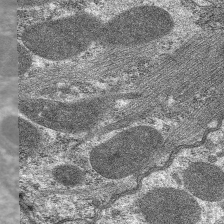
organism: C. elegans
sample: Pharynx